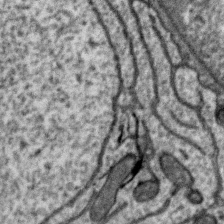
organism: Zebra finch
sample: Brain